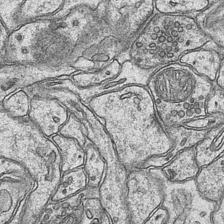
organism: Mouse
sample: CA1 Hippocampus